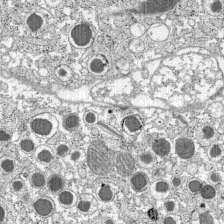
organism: C57BL Mouse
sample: Pancreatic islet